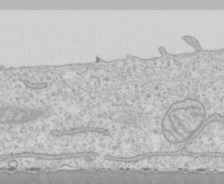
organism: Human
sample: CRL-1474